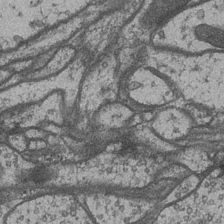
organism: Drosophila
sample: Optic medulla